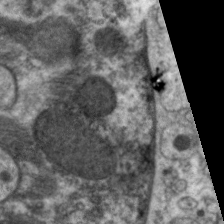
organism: C. elegans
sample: Pharynx